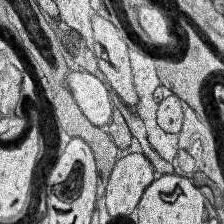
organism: Human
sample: Temporal Lobe